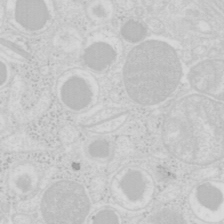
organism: Mouse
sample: Pancreas